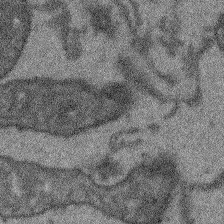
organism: Arabidopsis thaliana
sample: Root tip